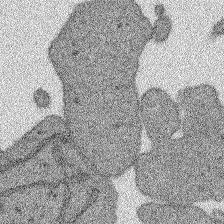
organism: Human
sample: HeLa cells